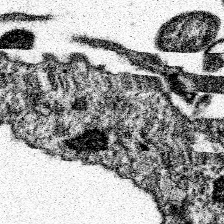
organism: Spongilla lacustris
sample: Neuroid cell